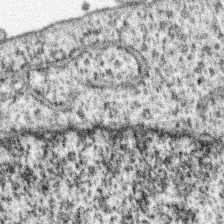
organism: Human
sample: HeLa cells